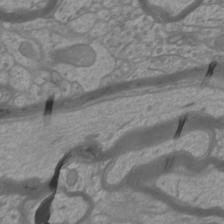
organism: Mouse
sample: Cortical neurons